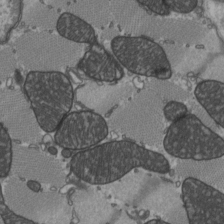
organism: C57BL Mouse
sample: Heart